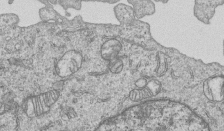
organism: Human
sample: MDA-MB-231 cells